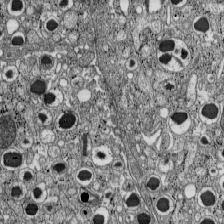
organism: C57BL Mouse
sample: Pancreatic islet